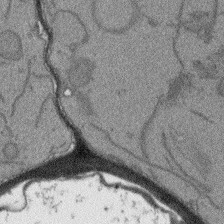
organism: Arabidopsis thaliana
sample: Root tip